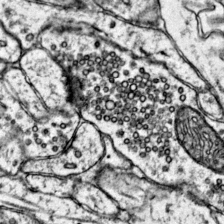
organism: Mouse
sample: Primary visual cortex